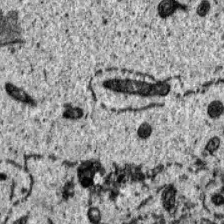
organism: Human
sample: HeLa cells